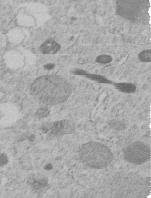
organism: C. elegans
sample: C. elegans embryo early stage